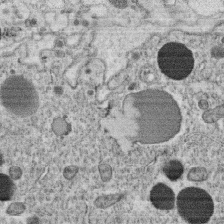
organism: C. elegans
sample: C. elegans oocyte; sperm cells